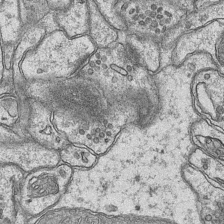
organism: Mouse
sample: CA1 Hippocampus